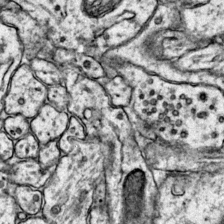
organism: Mouse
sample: Primary visual cortex